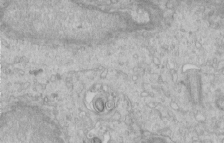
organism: Human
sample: Centriole in RPE cells